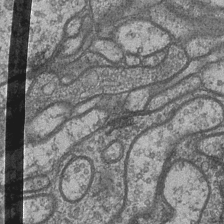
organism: Drosophila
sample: Optic medulla